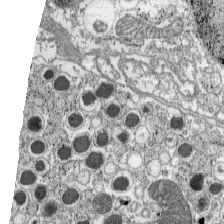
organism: C57BL Mouse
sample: Pancreatic islet